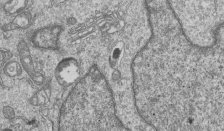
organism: Human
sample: MDA-MB-231 cells